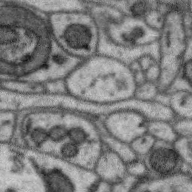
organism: Zebra finch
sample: Brain